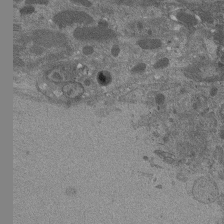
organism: Drosophila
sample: Antenna